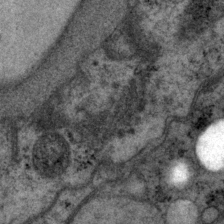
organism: P. pacificus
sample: Pharynx